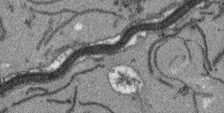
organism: Arabidopsis thaliana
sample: Root tip